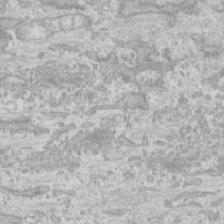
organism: Human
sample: CRL-1474